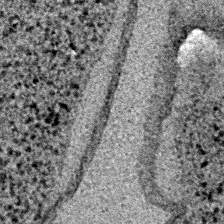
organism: E. coli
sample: E. Coli Bacteria